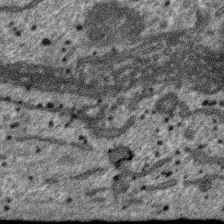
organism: Human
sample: Lung epithelial cells infected with SARS-CoV-2